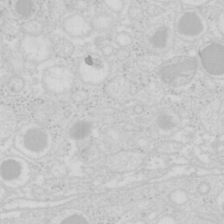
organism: Mouse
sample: Pancreas